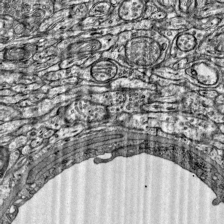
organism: Mouse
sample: Visual Cortex